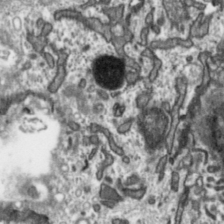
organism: Toxoplasma gondii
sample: Parasites in a vacuole inside a host cell